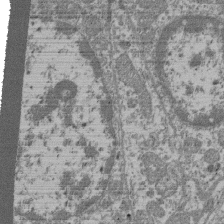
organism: Mouse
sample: Glomerulus